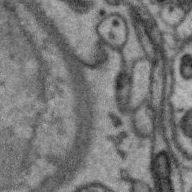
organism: Zebra finch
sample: Brain